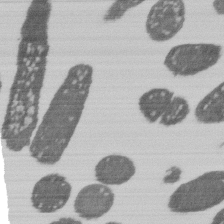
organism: E. coli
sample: Bacterial nucleoid